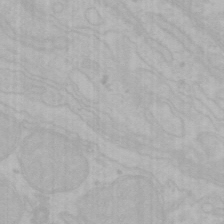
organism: Mouse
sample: Choroid plexus